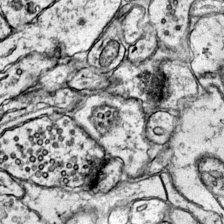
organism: Mouse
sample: Primary visual cortex